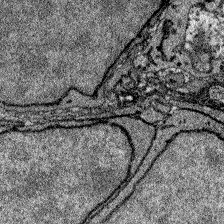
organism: Zebrafish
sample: Larval olfactory bulb